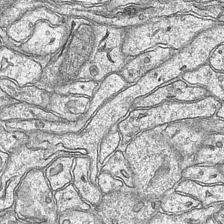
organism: Mouse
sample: CA1 Hippocampus